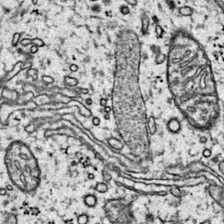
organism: Mouse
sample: Primary visual cortex